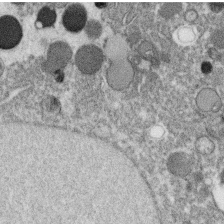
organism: C. elegans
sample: C. elegans oocyte; sperm cells